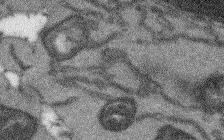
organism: Arabidopsis thaliana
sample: Root tip